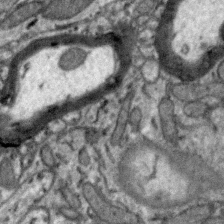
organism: Zebra finch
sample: Brain